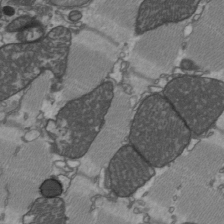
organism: C57BL Mouse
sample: Heart